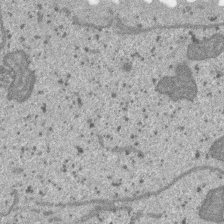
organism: Human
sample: Lung epithelial cells infected with SARS-CoV-2